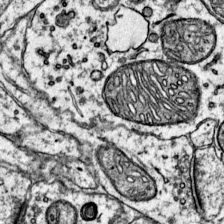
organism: Mouse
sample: Primary visual cortex